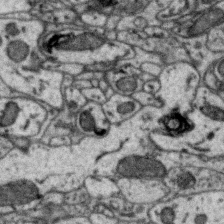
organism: Zebra finch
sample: Brain